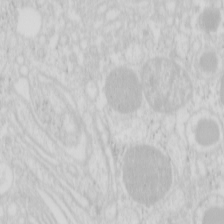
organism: Mouse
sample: Pancreas